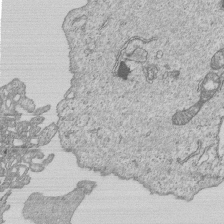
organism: Human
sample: MDA-MB-231 cells